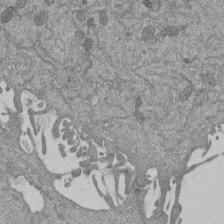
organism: Mouse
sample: ED-1 cell nuclei; centrioles